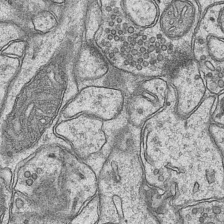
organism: Mouse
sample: CA1 Hippocampus